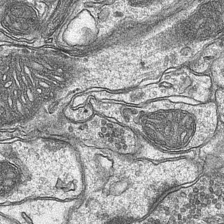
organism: Mouse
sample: CA1 Hippocampus